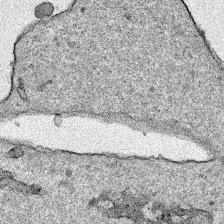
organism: Human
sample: Mitochondria in HCT116 cells